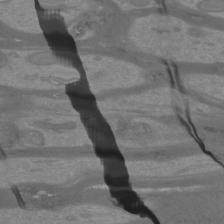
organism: Mouse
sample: Cortical neurons